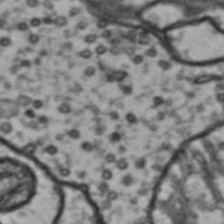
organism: Drosophila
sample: Brain